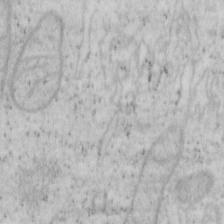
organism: Human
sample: HeLa cells